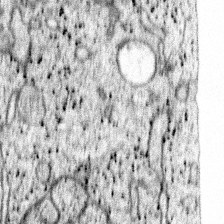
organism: Human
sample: HeLa cells